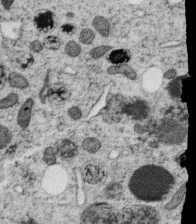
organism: C. elegans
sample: C. elegans oocyte; sperm cells